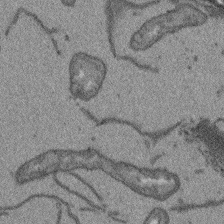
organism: Arabidopsis thaliana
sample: Root tip